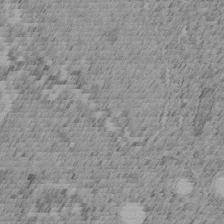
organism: C. elegans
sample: C. elegans embryo early stage